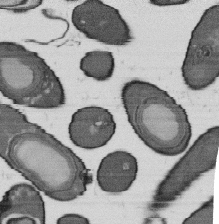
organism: B. subtilis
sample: Bacterial spore